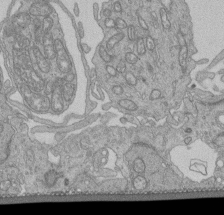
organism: Human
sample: Retinal organoid Rod and Cone cells